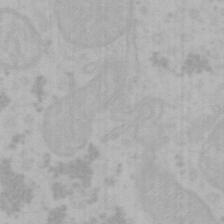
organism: Mouse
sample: Choroid plexus